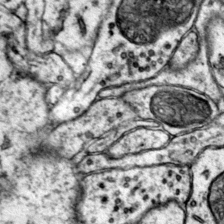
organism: Mouse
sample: Primary visual cortex